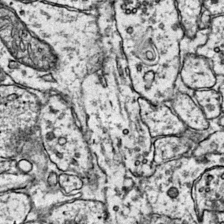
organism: Mouse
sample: Primary visual cortex